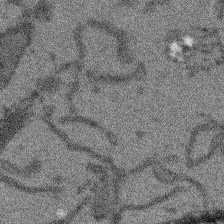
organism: Arabidopsis thaliana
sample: Root tip